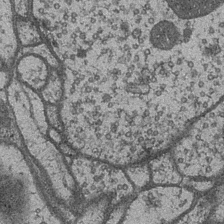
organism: Drosophila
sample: Optic medulla